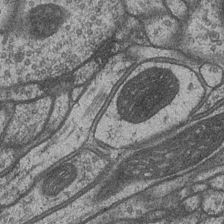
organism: Drosophila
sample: Optic medulla